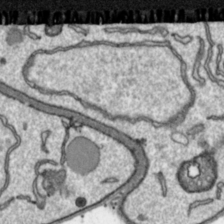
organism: Toxoplasma gondii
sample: Parasites in a vacuole inside a host cell